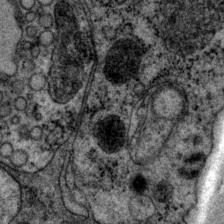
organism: P. pacificus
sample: Pharynx